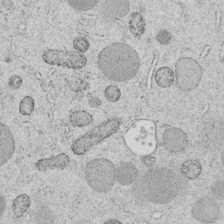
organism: C. elegans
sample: C. elegans embryo early stage